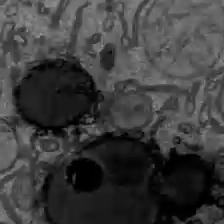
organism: C57BL Mouse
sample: Liver